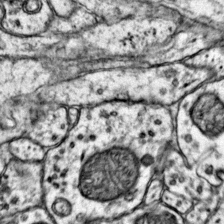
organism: Mouse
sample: Primary visual cortex